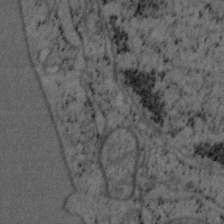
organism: Human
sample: HeLa cells